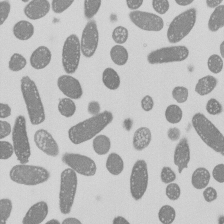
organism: E. coli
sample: Bacterial nucleoid